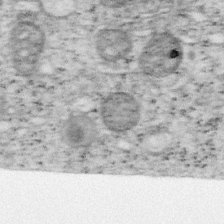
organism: Mouse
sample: OT-I killer T cells with ID8 ovarian cancer cells